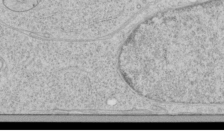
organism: Human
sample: Mitochondria in HCT116 cells